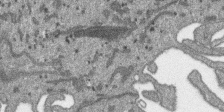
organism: Human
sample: Lung epithelial cells infected with SARS-CoV-2